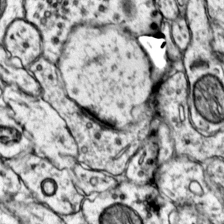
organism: Mouse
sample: Primary visual cortex